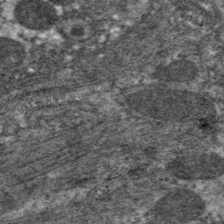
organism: C. elegans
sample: Pharynx